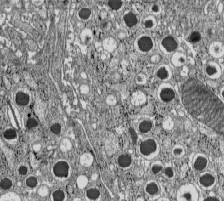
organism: C57BL Mouse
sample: Pancreatic islet